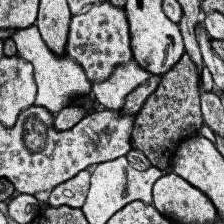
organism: Human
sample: Temporal Lobe